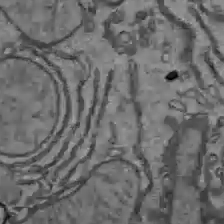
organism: C57BL Mouse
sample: Liver